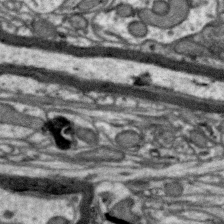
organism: Zebra finch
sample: Brain